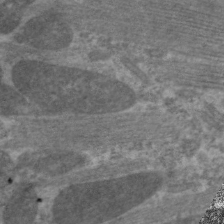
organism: C. elegans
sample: Pharynx